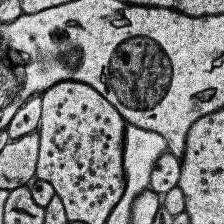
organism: Human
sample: Temporal Lobe